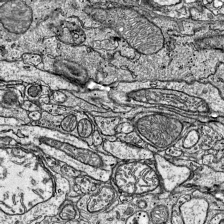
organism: Mouse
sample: Visual Cortex